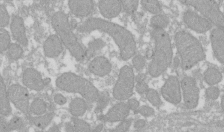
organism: Xenopus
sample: Cilia; centrioles in frog embryo cells